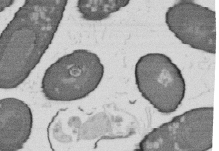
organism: B. subtilis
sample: Bacterial spore